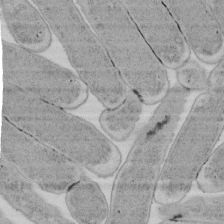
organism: E. coli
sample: Bacterial nucleoid